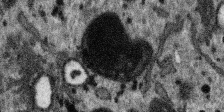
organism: Human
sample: Lung epithelial cells infected with SARS-CoV-2